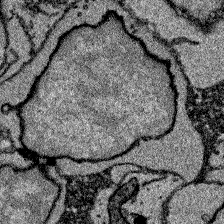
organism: Zebrafish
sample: Larval olfactory bulb